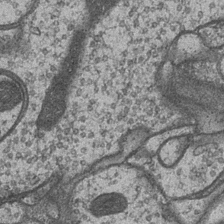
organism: Drosophila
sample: Optic medulla